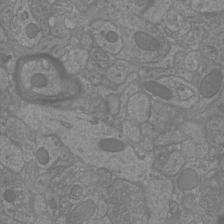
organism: Mouse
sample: Cortical neurons